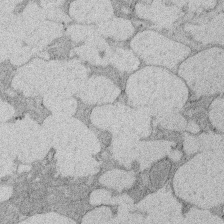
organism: Rat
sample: Salivary granule